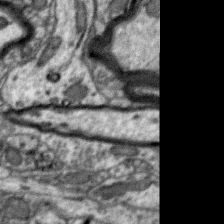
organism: Zebra finch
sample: Brain